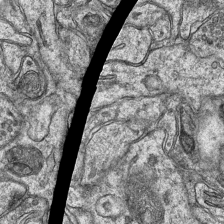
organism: Mouse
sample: CA1 Hippocampus